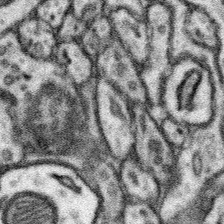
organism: Mouse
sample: Somatosensory cortex neuropil